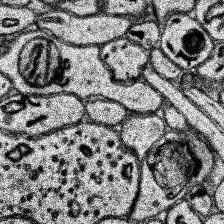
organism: Human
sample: Temporal Lobe